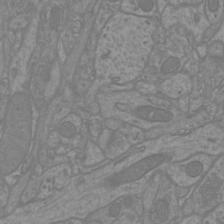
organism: Mouse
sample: Cortical neurons